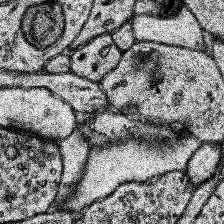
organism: Human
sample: Temporal Lobe